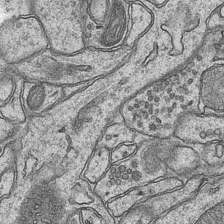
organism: Mouse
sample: CA1 Hippocampus